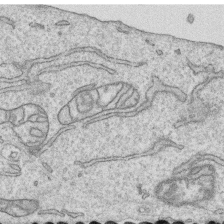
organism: Human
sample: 1205lu cells